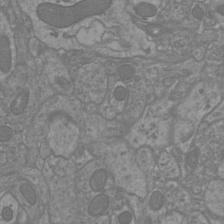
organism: Mouse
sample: Cortical neurons